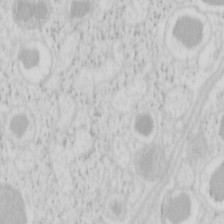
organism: Mouse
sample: Pancreas